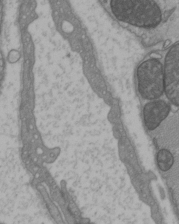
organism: C57BL Mouse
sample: Heart